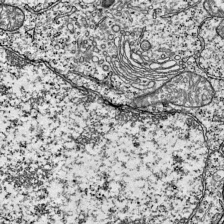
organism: Mouse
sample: Visual Cortex